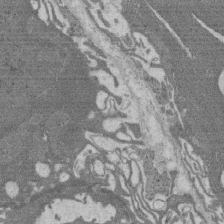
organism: Rat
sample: Salivary granule